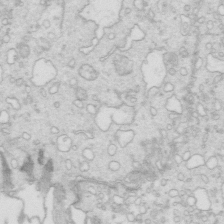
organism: Mouse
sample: Multiciliated cells